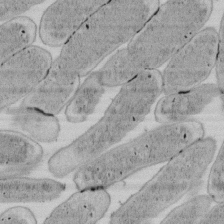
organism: E. coli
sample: Bacterial nucleoid